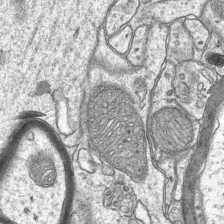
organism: Mouse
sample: CA1 Hippocampus